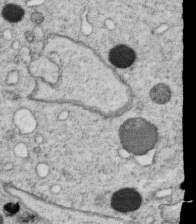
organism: C. elegans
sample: C. elegans oocyte; sperm cells